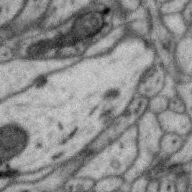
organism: Zebra finch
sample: Brain